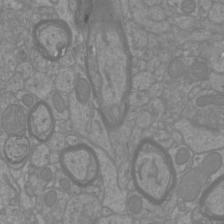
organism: Mouse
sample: Cortical neurons